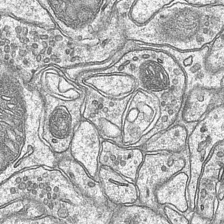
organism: Mouse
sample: CA1 Hippocampus